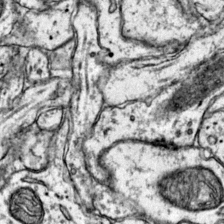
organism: Mouse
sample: Primary visual cortex